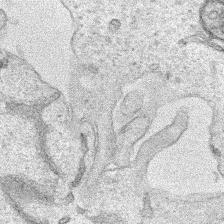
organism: Human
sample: Mitochondria in HCT116 cells